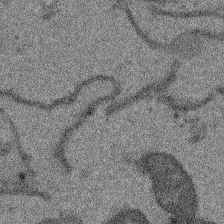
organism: Arabidopsis thaliana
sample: Root tip